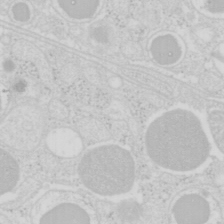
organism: Mouse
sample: Pancreas